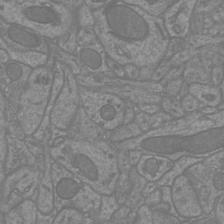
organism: Mouse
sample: Cortical neurons